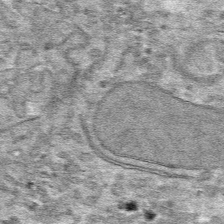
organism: Mouse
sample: Mouse hepatocytes